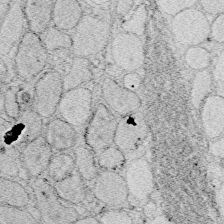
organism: Zebrafish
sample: Whole-Brain